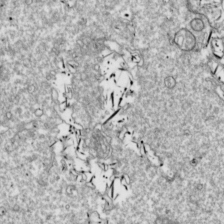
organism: Drosophila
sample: Cell division; meiosis; drosophila spermatocytes